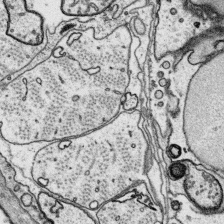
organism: Platynereis dumerilii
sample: Parapodia